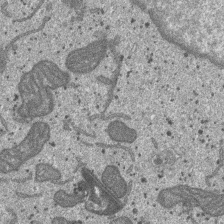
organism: Human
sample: Lung epithelial cells infected with SARS-CoV-2